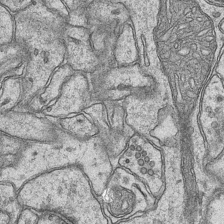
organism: Mouse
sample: CA1 Hippocampus